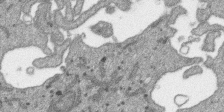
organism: Human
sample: Lung epithelial cells infected with SARS-CoV-2